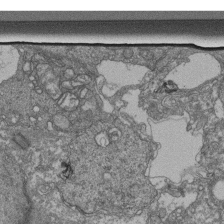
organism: Human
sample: Retinal organoid Rod and Cone cells